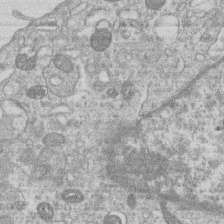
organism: Human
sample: Macrophage cells